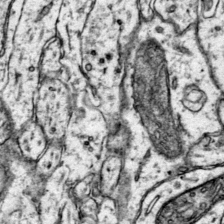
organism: Mouse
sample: Primary visual cortex